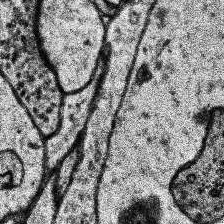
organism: Human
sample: Temporal Lobe